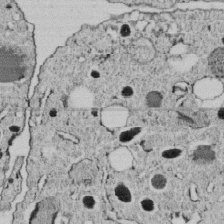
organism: C. elegans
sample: C. elegans embryo early stage